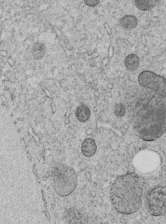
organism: C. elegans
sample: C. elegans embryo early stage